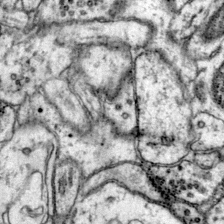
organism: Mouse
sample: Primary visual cortex